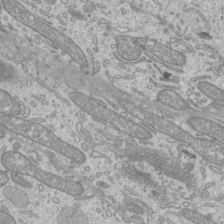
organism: Mouse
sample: Cilia; mouse epididymis